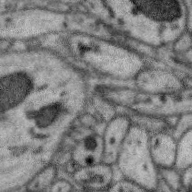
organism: Zebra finch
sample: Brain